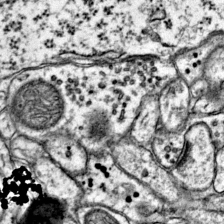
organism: Mouse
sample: Primary visual cortex